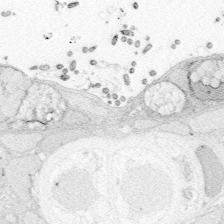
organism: Zebrafish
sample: Whole-Brain